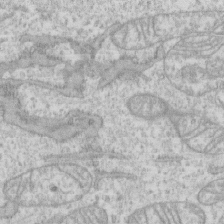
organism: Human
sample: CRL-1474